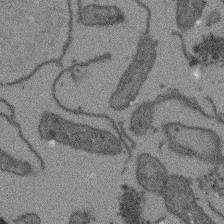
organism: Arabidopsis thaliana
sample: Root tip